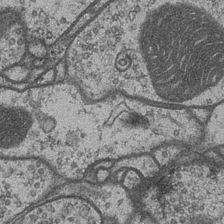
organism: Drosophila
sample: Optic medulla